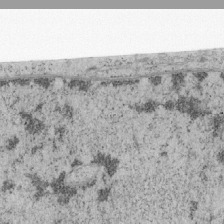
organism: Human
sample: HeLa cells